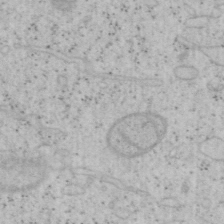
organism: Human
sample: HeLa cells